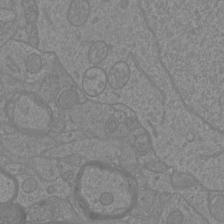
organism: Mouse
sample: Cortical neurons